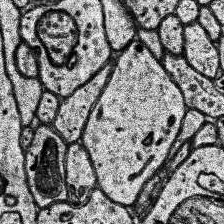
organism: Human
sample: Temporal Lobe